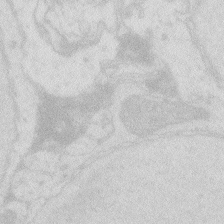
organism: Zebrafish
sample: Macrophage